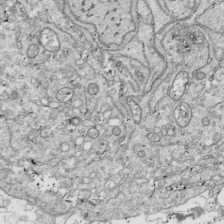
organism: Drosophila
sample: Cell division; meiosis; drosophila spermatocytes